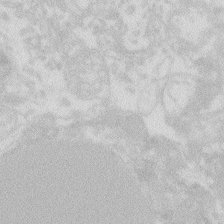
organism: Zebrafish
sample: Macrophage